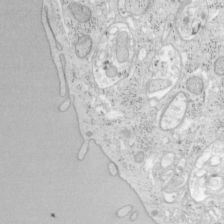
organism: Mouse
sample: OT-I killer T cells with ID8 ovarian cancer cells